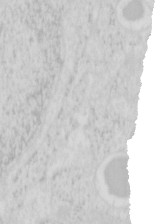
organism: Mouse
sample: Pancreas